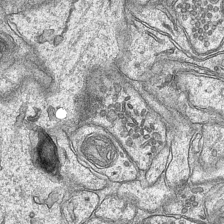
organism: Mouse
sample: CA1 Hippocampus